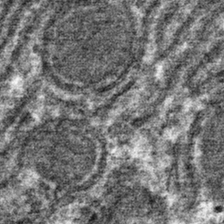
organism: Mouse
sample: Mouse hepatocytes